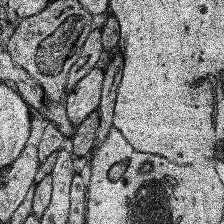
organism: Human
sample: Temporal Lobe